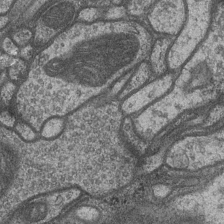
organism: Drosophila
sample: Optic medulla